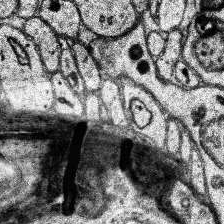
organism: Human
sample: Temporal Lobe